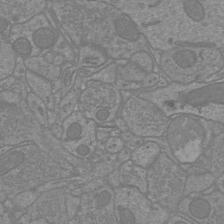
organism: Mouse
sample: Cortical neurons